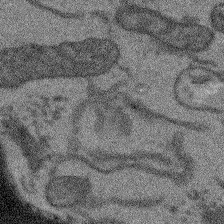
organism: Arabidopsis thaliana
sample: Root tip